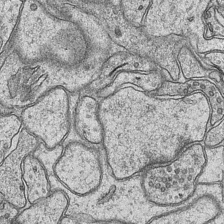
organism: Mouse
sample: CA1 Hippocampus